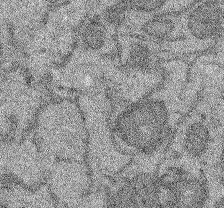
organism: Human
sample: HeLa cells